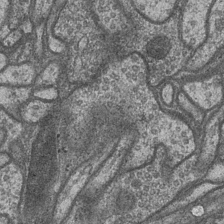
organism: Drosophila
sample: Optic medulla